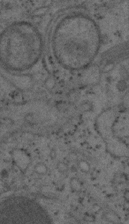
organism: Human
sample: HeLa cells